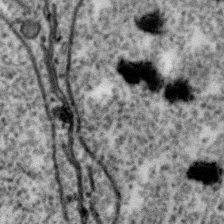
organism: Zebra finch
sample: Brain